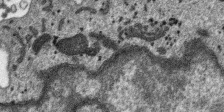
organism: Human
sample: Lung epithelial cells infected with SARS-CoV-2